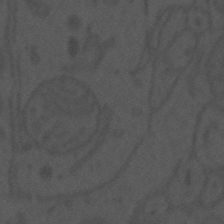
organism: Mouse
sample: Suprachiasmatic nucleus